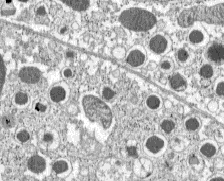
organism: C57BL Mouse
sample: Pancreatic islet